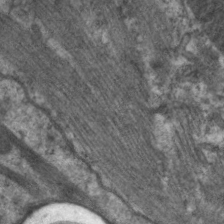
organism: C. elegans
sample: Pharynx